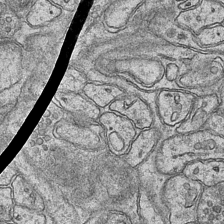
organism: Mouse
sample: CA1 Hippocampus